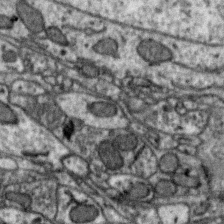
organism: Zebra finch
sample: Brain